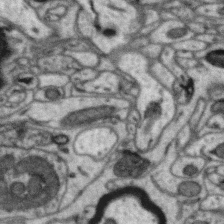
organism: Zebra finch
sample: Brain